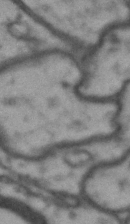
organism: Drosophila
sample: Brain